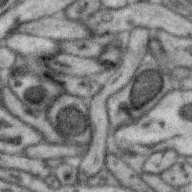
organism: Zebra finch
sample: Brain